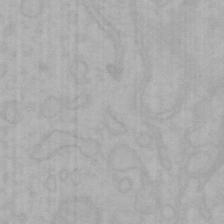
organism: Mouse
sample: Choroid plexus